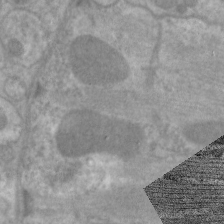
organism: C. elegans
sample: Pharynx